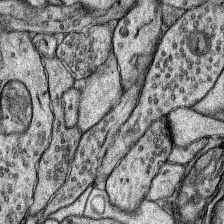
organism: Rat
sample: Hippocampus